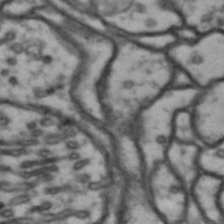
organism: Drosophila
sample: Brain